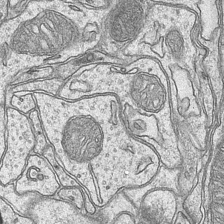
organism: Mouse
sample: CA1 Hippocampus